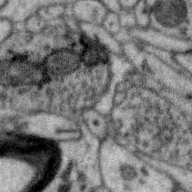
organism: Zebra finch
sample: Brain